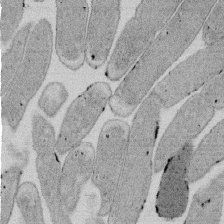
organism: E. coli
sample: Bacterial nucleoid